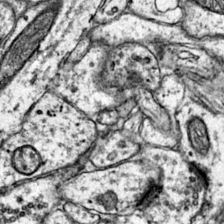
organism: Mouse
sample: Primary visual cortex